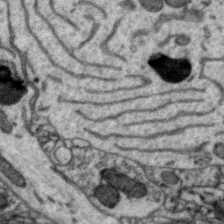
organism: Zebra finch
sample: Brain